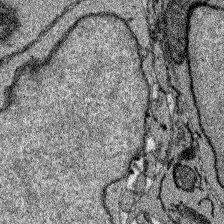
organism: Zebrafish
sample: Larval olfactory bulb